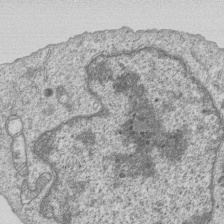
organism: Human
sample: MDA-MB-231 cells